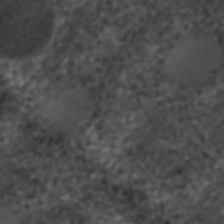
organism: C. elegans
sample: C. elegans embryo